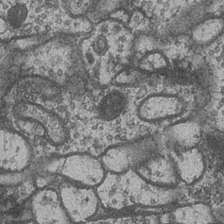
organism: Drosophila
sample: Optic medulla